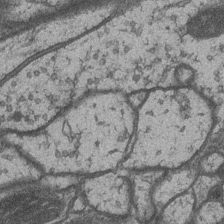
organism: Drosophila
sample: Optic medulla